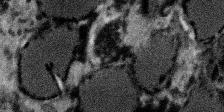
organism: Human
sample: Lung epithelial cells infected with SARS-CoV-2